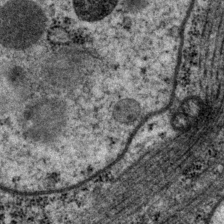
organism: P. pacificus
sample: Pharynx